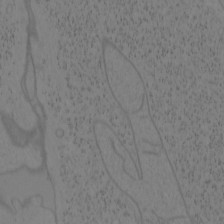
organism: Human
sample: HeLa cells